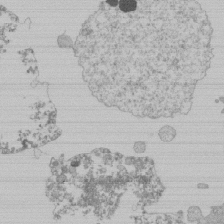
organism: Mouse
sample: Activated Pmel transgenic CD8+ T Cells